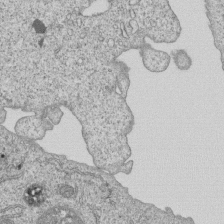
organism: Human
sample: MDA-MB-231 cells